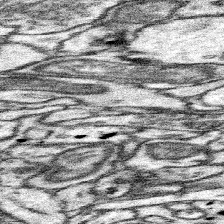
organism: Mouse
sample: Somatosensory cortex neuropil